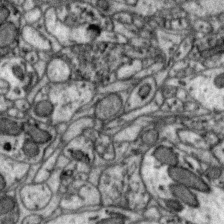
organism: Zebra finch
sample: Brain